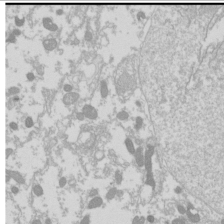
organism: Drosophila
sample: Cell division; meiosis; drosophila spermatocytes